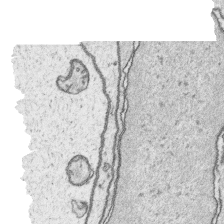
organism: Platynereis dumerilii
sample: Parapodia